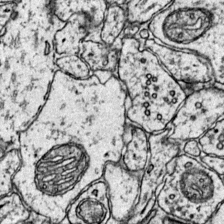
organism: Mouse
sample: Primary visual cortex